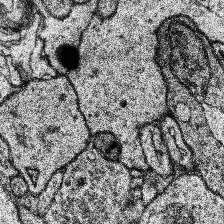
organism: Human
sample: Temporal Lobe